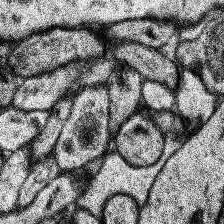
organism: Human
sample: Temporal Lobe